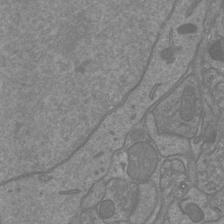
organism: Mouse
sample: Cortical neurons